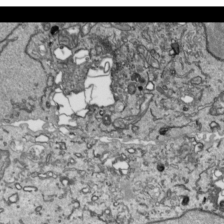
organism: Human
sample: Mitochondria in HCT116 cells